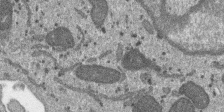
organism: Human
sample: Lung epithelial cells infected with SARS-CoV-2